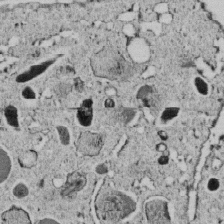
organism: C. elegans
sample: C. elegans embryo early stage